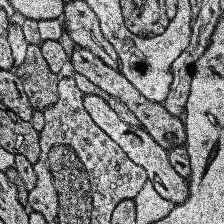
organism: Human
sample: Temporal Lobe